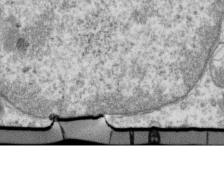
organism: Mouse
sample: Activated OT-1 CD8+ T cells